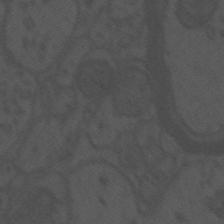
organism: Mouse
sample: Suprachiasmatic nucleus